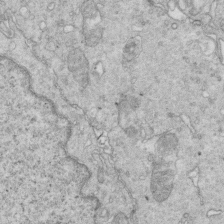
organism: Mouse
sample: Multiciliated cells